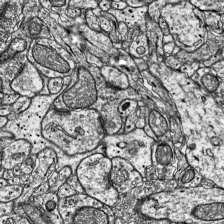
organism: Mouse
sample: Visual Cortex